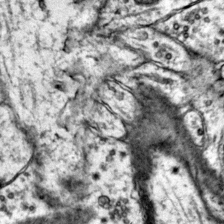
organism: Mouse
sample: Primary visual cortex